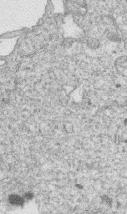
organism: Human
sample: HeLa cell HIV synapse